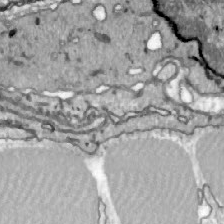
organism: Zebrafish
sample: Actinotrichia fibers